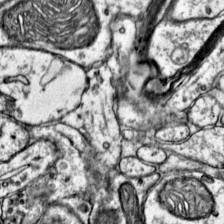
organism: Mouse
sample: Primary visual cortex